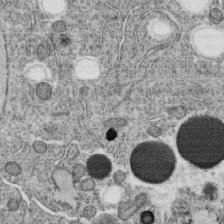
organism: C. elegans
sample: C. elegans oocyte; sperm cells